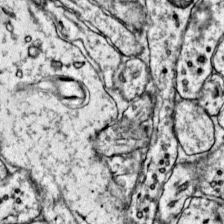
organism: Mouse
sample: Primary visual cortex